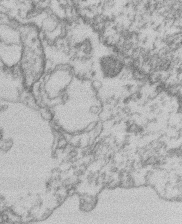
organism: Mouse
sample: T cell stromal cell synapse